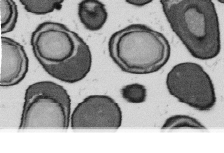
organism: B. subtilis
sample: Bacterial spore